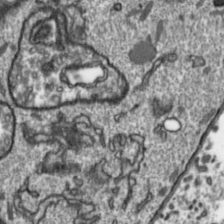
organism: Toxoplasma gondii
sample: Parasites in a vacuole inside a host cell